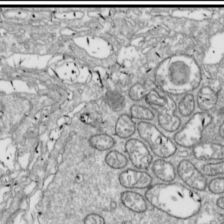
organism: Drosophila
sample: Cell division; meiosis; drosophila spermatocytes